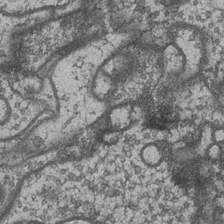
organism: Drosophila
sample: Optic medulla